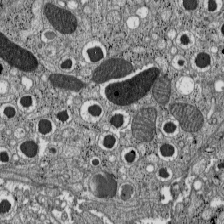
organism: C57BL Mouse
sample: Pancreatic islet